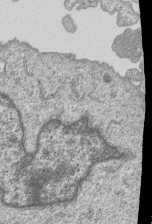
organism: Human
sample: MDA-MB-231 cells